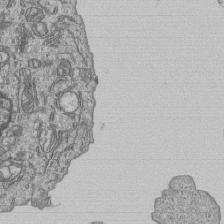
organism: Human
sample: MDA-MB-231 cells